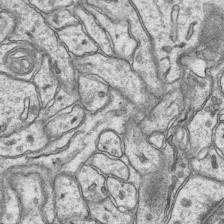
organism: Mouse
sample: CA1 Hippocampus